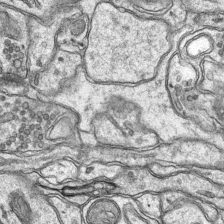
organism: Mouse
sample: CA1 Hippocampus